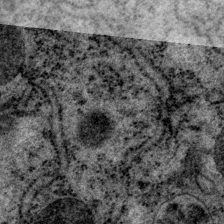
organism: P. pacificus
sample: Pharynx